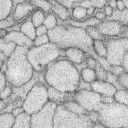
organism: Rabbit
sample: Retina